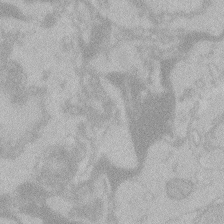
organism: Zebrafish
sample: Macrophage infected with Toxoplasma gondii